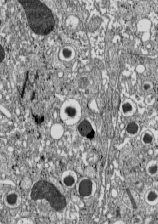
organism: C57BL Mouse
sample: Pancreatic islet